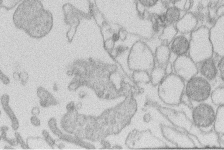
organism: Human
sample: Macrophage cells